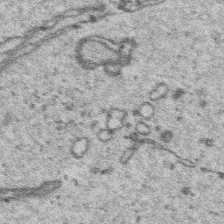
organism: Platynereis dumerilii